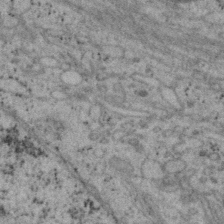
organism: Human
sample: HeLa cells